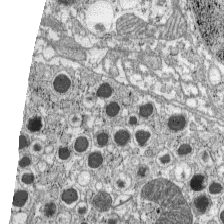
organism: C57BL Mouse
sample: Pancreatic islet